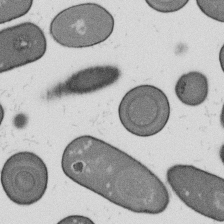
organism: B. subtilis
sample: Bacterial spore